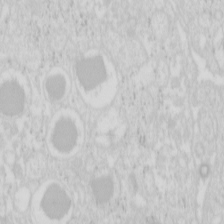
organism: Mouse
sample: Pancreas